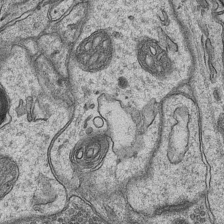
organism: Mouse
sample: CA1 Hippocampus